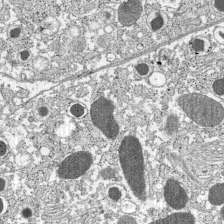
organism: C57BL Mouse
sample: Pancreatic islet